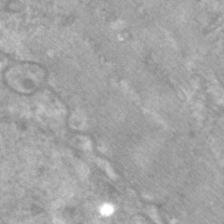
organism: C. elegans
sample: Pharynx